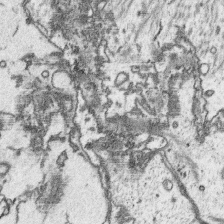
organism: Platynereis dumerilii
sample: Parapodia